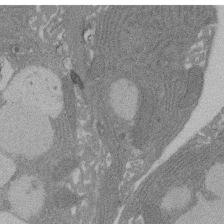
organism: Rat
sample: Salivary granule